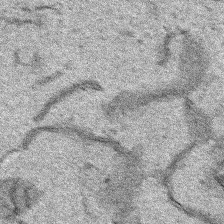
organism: Human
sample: Mitochondria in HCT116 cells